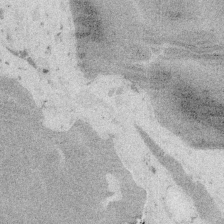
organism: Embia sp.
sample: Silk gland